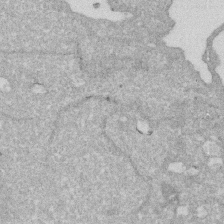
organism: Human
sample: HIV infected U937 cells